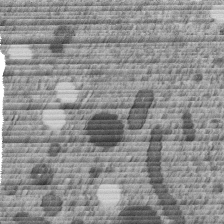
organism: C. elegans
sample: C. elegans embryo early stage